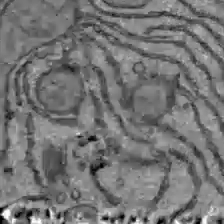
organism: C57BL Mouse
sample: Liver